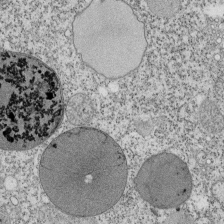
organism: Tetrahymena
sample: Cilia in tetrahymena